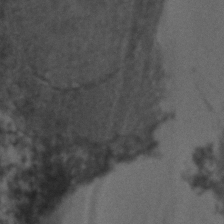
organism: Zebrafish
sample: Zebrafish embryo